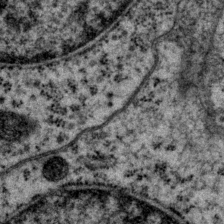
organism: P. pacificus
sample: Pharynx